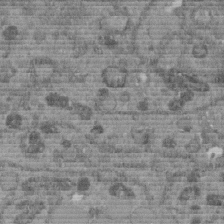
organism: C. elegans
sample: C. elegans embryo early stage